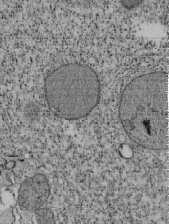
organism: Tetrahymena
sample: Cilia in tetrahymena